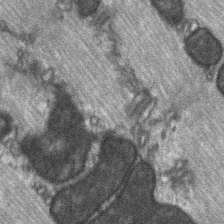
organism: C57BL Mouse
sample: Soleus